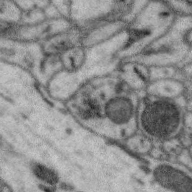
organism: Zebra finch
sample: Brain